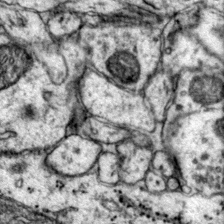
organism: Mouse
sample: Primary visual cortex